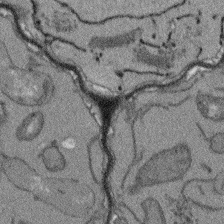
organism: Arabidopsis thaliana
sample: Root tip